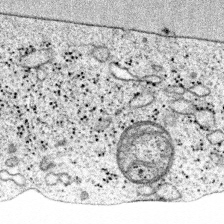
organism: Human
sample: HeLa cells